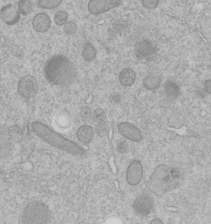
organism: C. elegans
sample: C. elegans embryo early stage